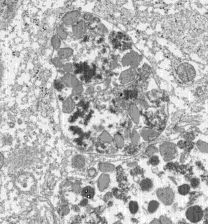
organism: C57BL Mouse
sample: Pancreatic islet